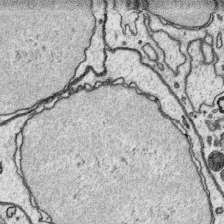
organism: Platynereis dumerilii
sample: Parapodia